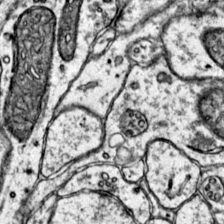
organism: Mouse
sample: Primary visual cortex